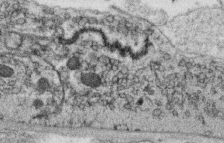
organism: C. elegans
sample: C. elegans oocyte; sperm cells